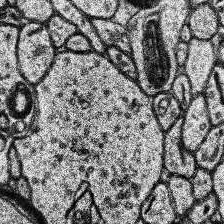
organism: Human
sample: Temporal Lobe